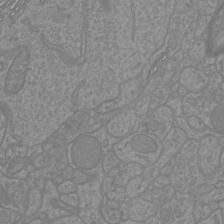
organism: Mouse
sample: Cortical neurons